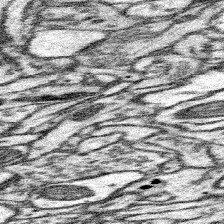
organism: Mouse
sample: Somatosensory cortex neuropil